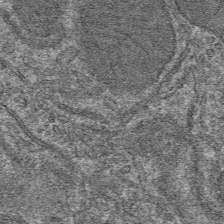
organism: Mouse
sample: Mouse hepatocytes